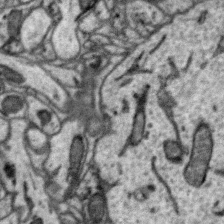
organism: Zebra finch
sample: Brain